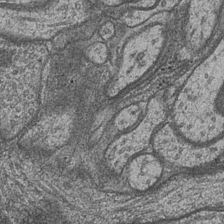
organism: Drosophila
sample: Optic medulla